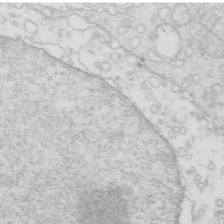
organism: Mouse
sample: Multiciliated cells